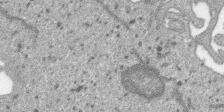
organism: Human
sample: Lung epithelial cells infected with SARS-CoV-2